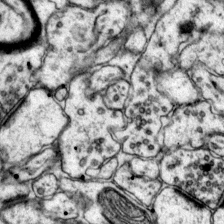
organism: Mouse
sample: Primary visual cortex